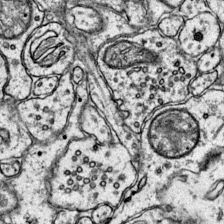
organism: Mouse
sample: Primary visual cortex